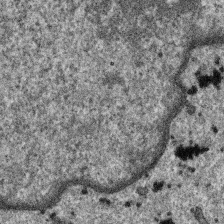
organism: Human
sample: Lung epithelial cells infected with SARS-CoV-2